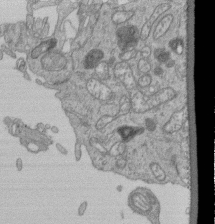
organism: Human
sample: Retinal organoid Rod and Cone cells